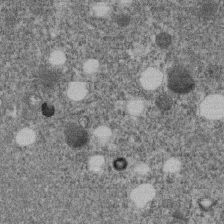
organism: C. elegans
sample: C. elegans embryo early stage